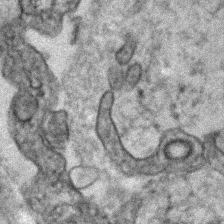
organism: Human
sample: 1205lu cells